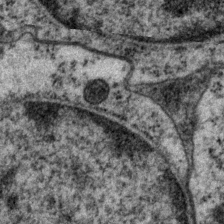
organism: P. pacificus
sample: Pharynx